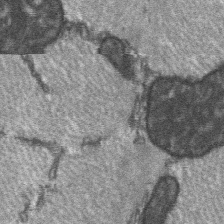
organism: C57BL Mouse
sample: Soleus